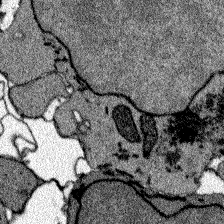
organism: Zebrafish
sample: Larval olfactory bulb